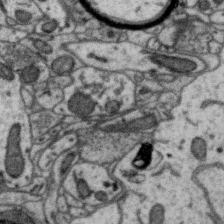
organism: Zebra finch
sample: Brain